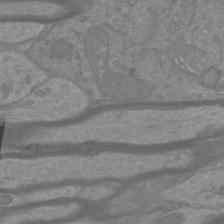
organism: Mouse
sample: Cortical neurons